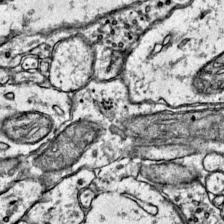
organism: Mouse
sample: Primary visual cortex